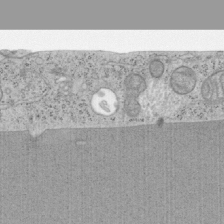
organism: Human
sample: HeLa cells